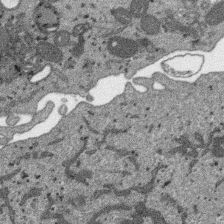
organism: Human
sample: Lung epithelial cells infected with SARS-CoV-2